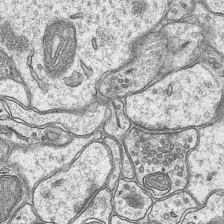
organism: Mouse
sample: CA1 Hippocampus